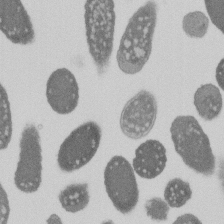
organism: E. coli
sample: Bacterial nucleoid